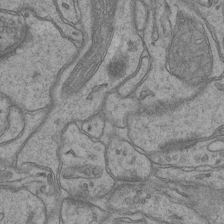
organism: Mouse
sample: CA1 Hippocampus